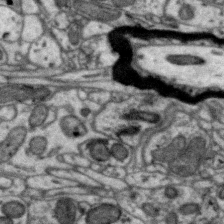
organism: Zebra finch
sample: Brain